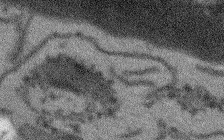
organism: Arabidopsis thaliana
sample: Root tip